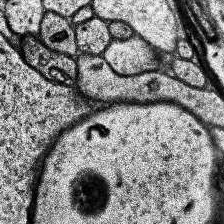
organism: Human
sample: Temporal Lobe